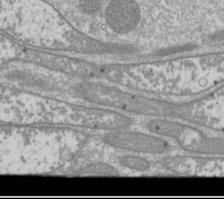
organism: Drosophila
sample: Cell division; meiosis; drosophila spermatocytes